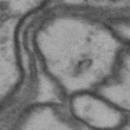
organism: Drosophila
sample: Brain